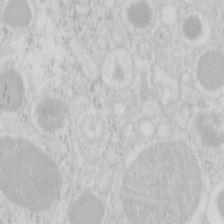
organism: Mouse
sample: Pancreas